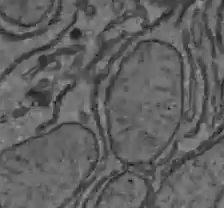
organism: C57BL Mouse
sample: Liver